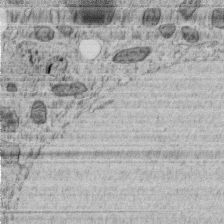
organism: C. elegans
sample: C. elegans embryo early stage